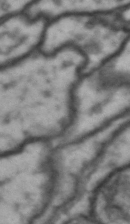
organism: Drosophila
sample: Brain